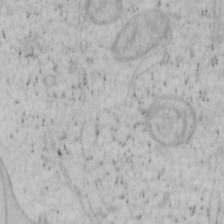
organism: Human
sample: HeLa cells